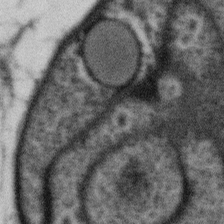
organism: Gemmata obscuriglobus